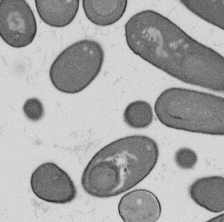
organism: B. subtilis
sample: Bacterial spore